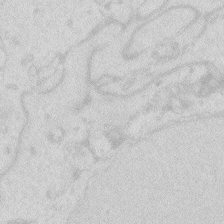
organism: Zebrafish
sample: Macrophage